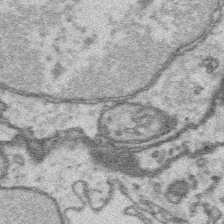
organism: Platynereis dumerilii